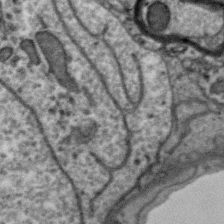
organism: Zebra finch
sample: Brain